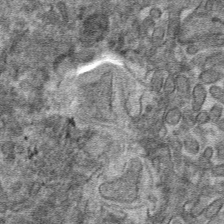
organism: Mouse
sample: Mouse hepatocytes